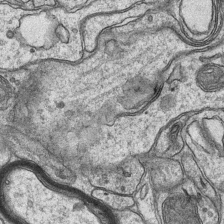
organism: Mouse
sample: CA1 Hippocampus